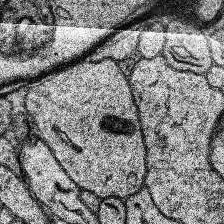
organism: Human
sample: Temporal Lobe